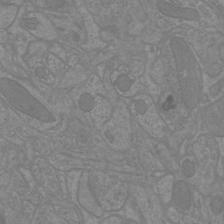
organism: Mouse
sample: Cortical neurons